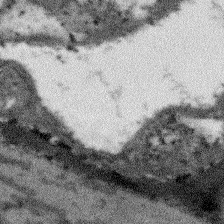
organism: Arabidopsis thaliana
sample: Root tip